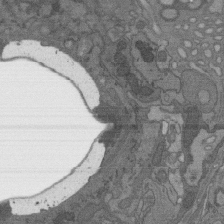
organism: C. elegans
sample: AFD neurons C. elegans